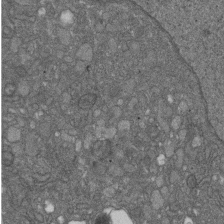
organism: Drosophila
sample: Nephrocyte